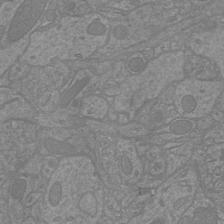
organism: Mouse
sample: Cortical neurons